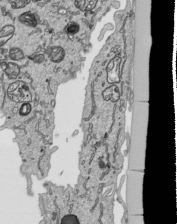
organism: Human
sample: Mitochondria in HCT116 cells